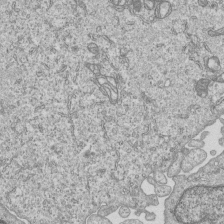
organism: Human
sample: MDA-MB-231 cells